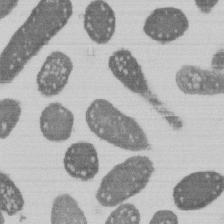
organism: E. coli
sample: Bacterial nucleoid